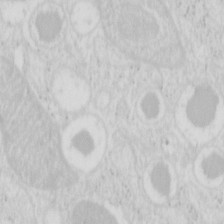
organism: Mouse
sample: Pancreas